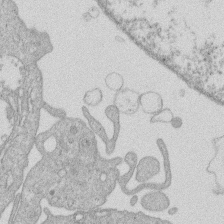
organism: Human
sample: Macrophage cells